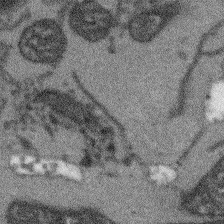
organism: Arabidopsis thaliana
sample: Root tip